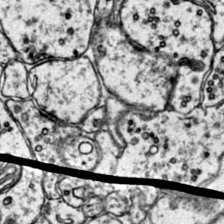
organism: Mouse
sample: Primary visual cortex